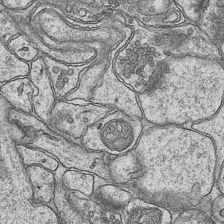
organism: Mouse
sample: CA1 Hippocampus